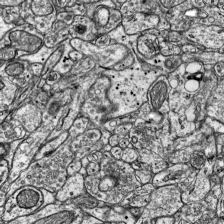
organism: Mouse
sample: Visual Cortex